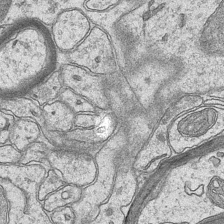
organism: Mouse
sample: CA1 Hippocampus